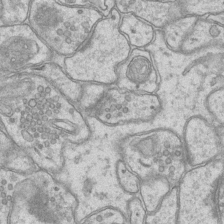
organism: Mouse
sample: CA1 Hippocampus